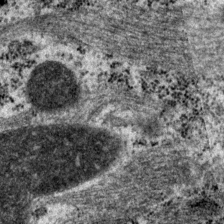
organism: P. pacificus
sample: Pharynx